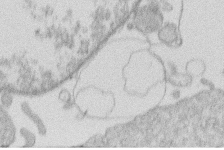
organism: Human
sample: Macrophage cells